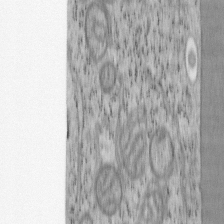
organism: Human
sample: HeLa cells